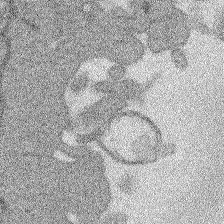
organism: Human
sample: HeLa cells